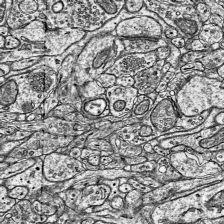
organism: Mouse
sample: Visual Cortex